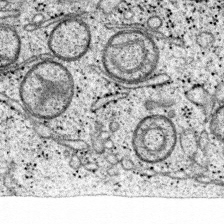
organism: Human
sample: HeLa cells